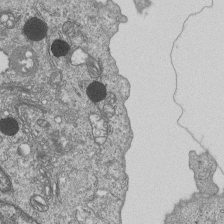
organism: Human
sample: MDA-MB-231 cells